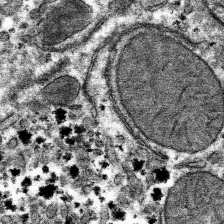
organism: Mouse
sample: Mouse hepatocytes